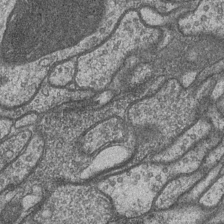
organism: Drosophila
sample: Optic medulla